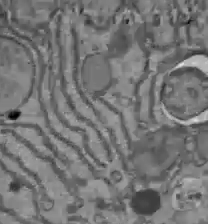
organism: C57BL Mouse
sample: Liver